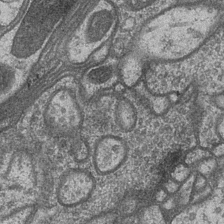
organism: Drosophila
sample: Optic medulla